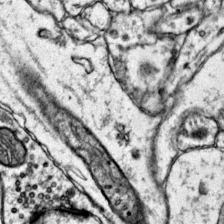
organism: Mouse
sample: Primary visual cortex